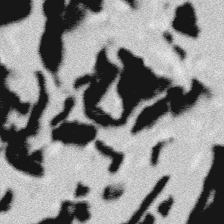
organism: Platynereis dumerilii